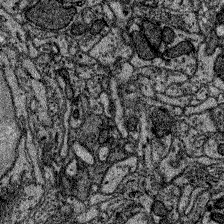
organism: Zebrafish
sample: Larval olfactory bulb